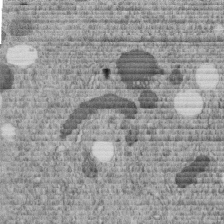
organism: C. elegans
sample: C. elegans embryo early stage